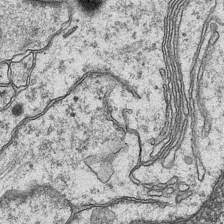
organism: Mouse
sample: CA1 Hippocampus